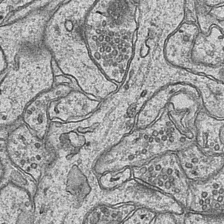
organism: Mouse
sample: CA1 Hippocampus